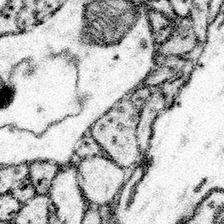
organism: Mouse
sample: Somatosensory cortex neuropil